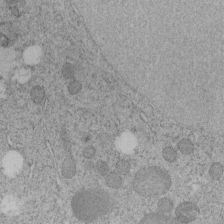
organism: C. elegans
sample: C. elegans embryo early stage